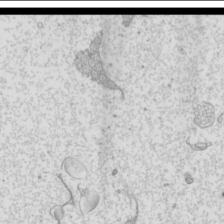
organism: Mouse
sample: Cilia; mouse epididymis